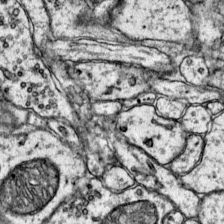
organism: Mouse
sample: Primary visual cortex